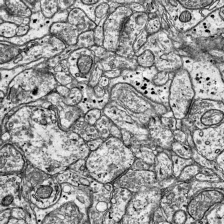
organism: Mouse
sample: Visual Cortex